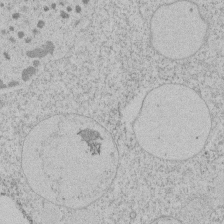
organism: Tetrahymena